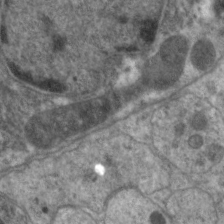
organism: C. elegans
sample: Pharynx